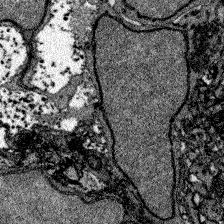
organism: Zebrafish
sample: Larval olfactory bulb